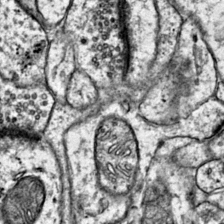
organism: Mouse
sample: Primary visual cortex